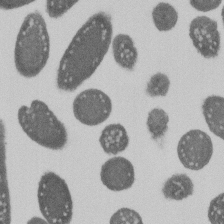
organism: E. coli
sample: Bacterial nucleoid